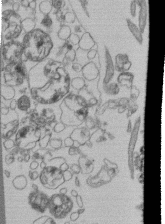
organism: Human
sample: Retinal organoid Rod and Cone cells